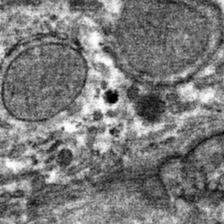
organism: Mouse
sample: Mouse hepatocytes